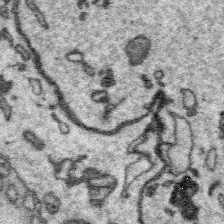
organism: Platynereis dumerilii